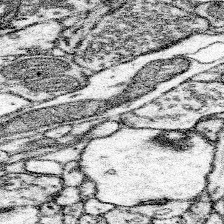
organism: Mouse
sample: Somatosensory cortex neuropil